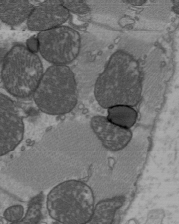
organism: C57BL Mouse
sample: Heart